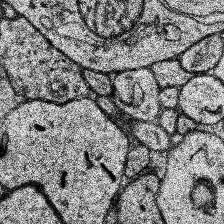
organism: Human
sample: Temporal Lobe